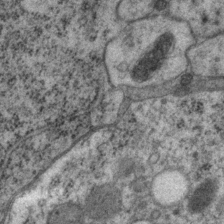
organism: P. pacificus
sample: Pharynx